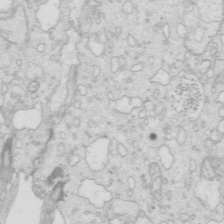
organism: Mouse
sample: Multiciliated cells